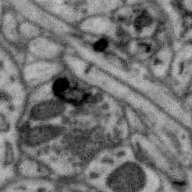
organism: Zebra finch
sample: Brain